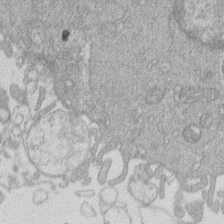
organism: Human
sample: Macrophage cells